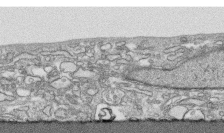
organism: Human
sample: CRL-1474